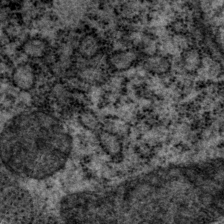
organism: P. pacificus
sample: Pharynx